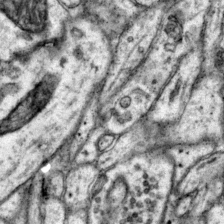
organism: Mouse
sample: Primary visual cortex